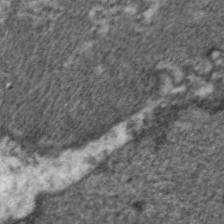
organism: C. elegans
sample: Pharynx